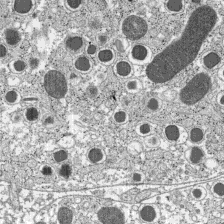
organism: C57BL Mouse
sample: Pancreatic islet